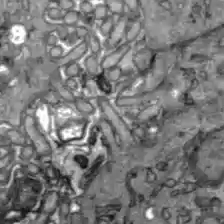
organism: C57BL Mouse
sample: Liver